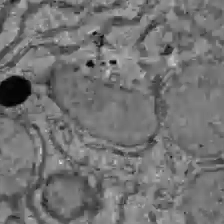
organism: C57BL Mouse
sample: Liver